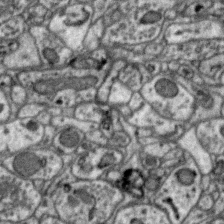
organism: Zebra finch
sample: Brain